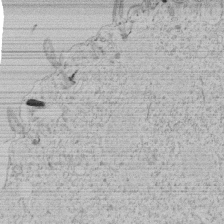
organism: Tetrahymena